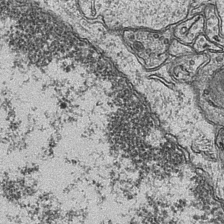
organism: Mouse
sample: CA1 Hippocampus